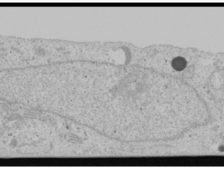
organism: Human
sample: Mitochondria in U2OS cells